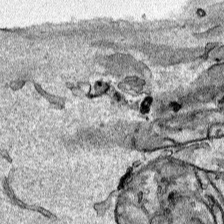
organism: Human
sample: Mitochondria in HCT116 cells